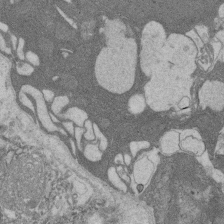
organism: Rat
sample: Salivary granule